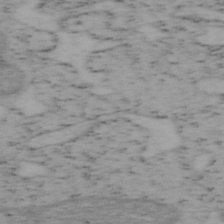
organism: Mouse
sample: OT-I killer T cells with ID8 ovarian cancer cells